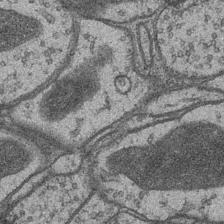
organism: Drosophila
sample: Optic medulla